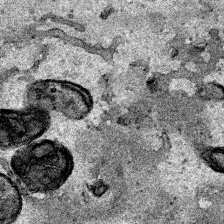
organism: Human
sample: Mitochondria in HCT116 cells